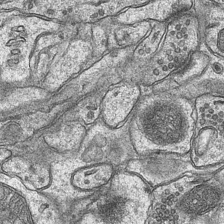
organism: Mouse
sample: CA1 Hippocampus